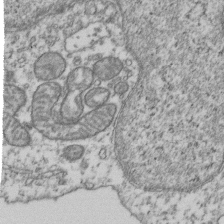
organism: Human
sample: Activated Jurkat CD4+ T cells